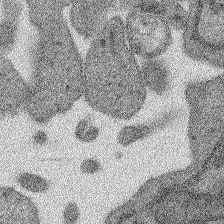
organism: Human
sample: HeLa cells